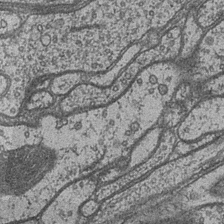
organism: Drosophila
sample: Optic medulla